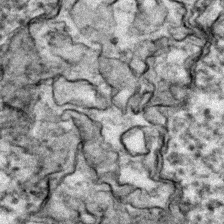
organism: Zebrafish